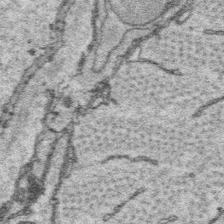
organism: Platynereis dumerilii